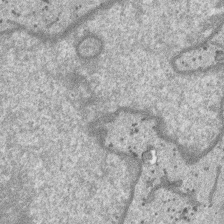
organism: Human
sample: Lung epithelial cells infected with SARS-CoV-2